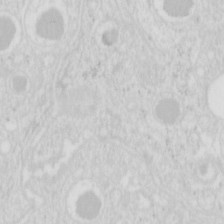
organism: Mouse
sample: Pancreas